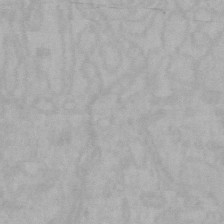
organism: Mouse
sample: Choroid plexus